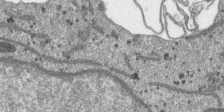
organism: Human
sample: Lung epithelial cells infected with SARS-CoV-2